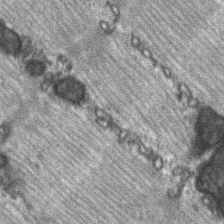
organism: C57BL Mouse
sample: Soleus